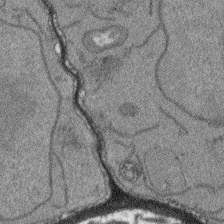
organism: Arabidopsis thaliana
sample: Root tip